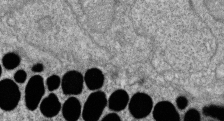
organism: Zebrafish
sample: Cilia; retinal pigment epithelium